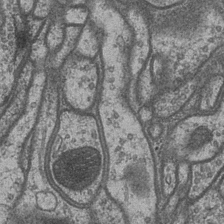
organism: Drosophila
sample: Optic medulla